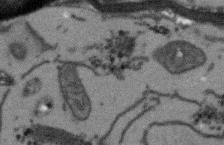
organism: Arabidopsis thaliana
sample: Root tip